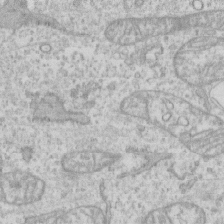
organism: Human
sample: CRL-1474